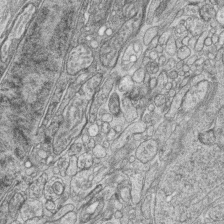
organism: Zebrafish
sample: synaptic ribbons in rod cells and cone cells